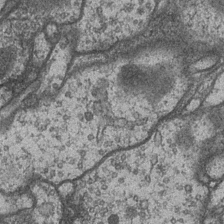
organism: Drosophila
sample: Optic medulla